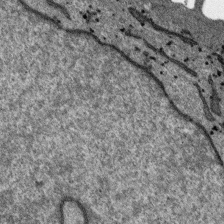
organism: Human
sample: Lung epithelial cells, uninfected (mock) control